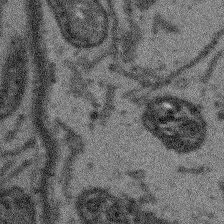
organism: Arabidopsis thaliana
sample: Root tip